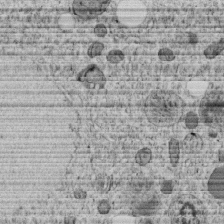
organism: C. elegans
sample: C. elegans embryo early stage